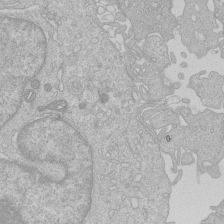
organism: Human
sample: Macrophage cells